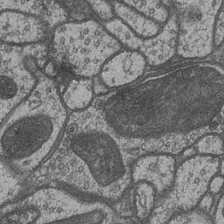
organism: Drosophila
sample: Optic medulla